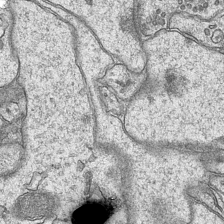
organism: Mouse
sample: CA1 Hippocampus